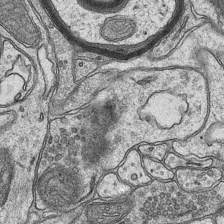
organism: Mouse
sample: CA1 Hippocampus